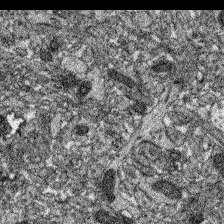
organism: Zebrafish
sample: Larval olfactory bulb